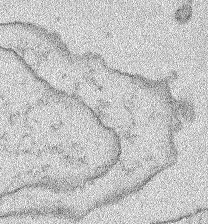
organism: Human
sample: HeLa cells